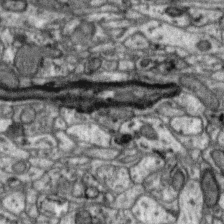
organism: Zebra finch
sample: Brain